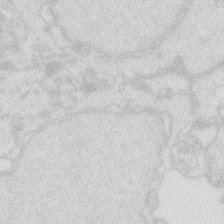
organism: Zebrafish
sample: Macrophage